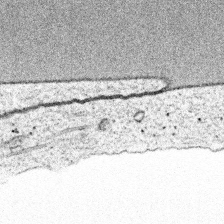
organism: Human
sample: HeLa cells